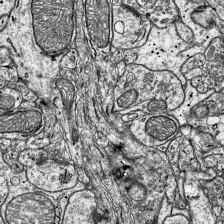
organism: Mouse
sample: Visual Cortex